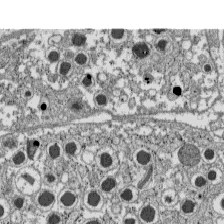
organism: C57BL Mouse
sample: Pancreatic islet